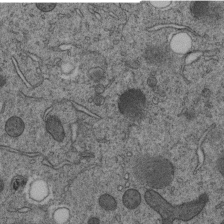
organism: C. elegans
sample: C. elegans embryo early stage